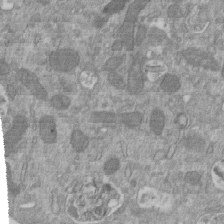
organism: Mouse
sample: ED-1 cell nuclei; centrioles